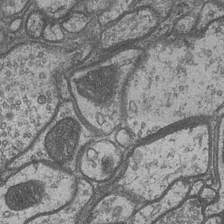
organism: Drosophila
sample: Optic medulla